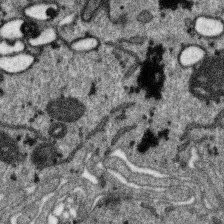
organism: Human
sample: Lung epithelial cells infected with SARS-CoV-2